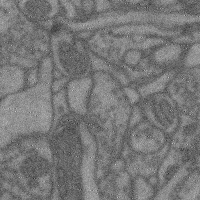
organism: Mouse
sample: Cerebral cortex